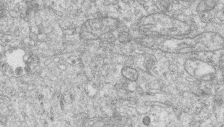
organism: Human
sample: HeLa cell HIV synapse